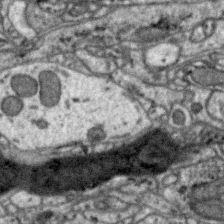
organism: Zebra finch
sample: Brain